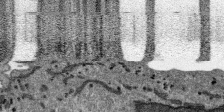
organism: Human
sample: Lung epithelial cells, uninfected (mock) control